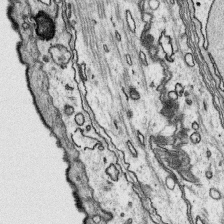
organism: Platynereis dumerilii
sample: Parapodia